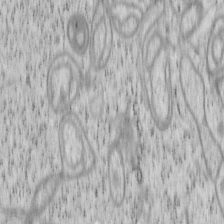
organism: Human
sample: HeLa cells